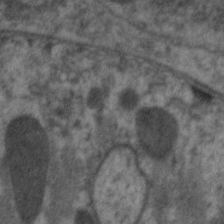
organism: C. elegans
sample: Pharynx